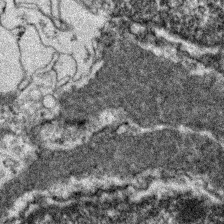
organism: Zebrafish